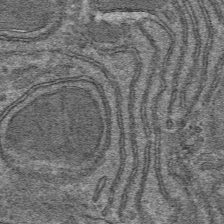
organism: Mouse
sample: Mouse hepatocytes